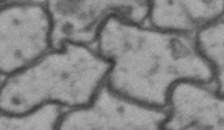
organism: Drosophila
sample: Brain